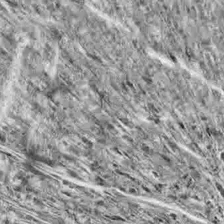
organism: Drosophila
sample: Optic lobe